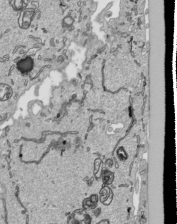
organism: Human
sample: Mitochondria in HCT116 cells